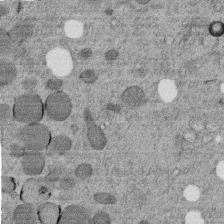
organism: C. elegans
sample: C. elegans embryo early stage